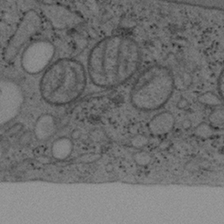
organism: Human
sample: HeLa cells